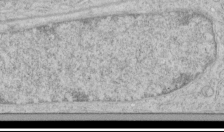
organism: Human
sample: Mitochondria in HCT116 cells